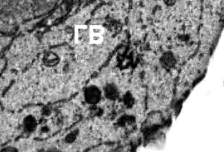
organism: Human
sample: HeLa cells